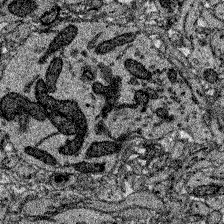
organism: Zebrafish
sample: Larval olfactory bulb